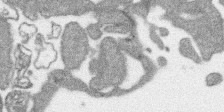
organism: Human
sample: Lung epithelial cells infected with SARS-CoV-2